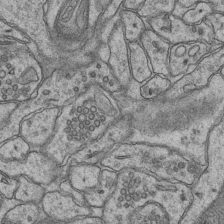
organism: Mouse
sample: CA1 Hippocampus